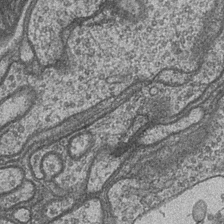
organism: Drosophila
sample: Optic medulla